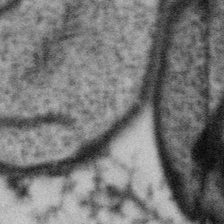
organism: Gemmata obscuriglobus